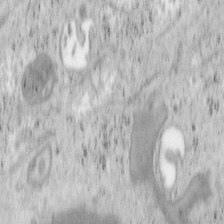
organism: Human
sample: HeLa cells